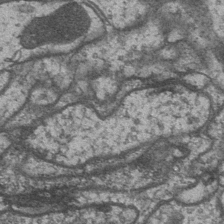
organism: Drosophila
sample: Optic medulla